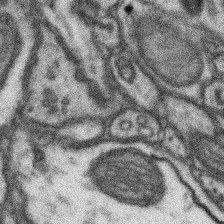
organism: Mouse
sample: Somatosensory cortex neuropil